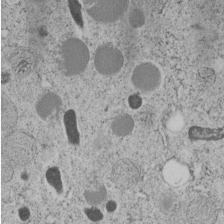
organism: C. elegans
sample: C. elegans embryo early stage